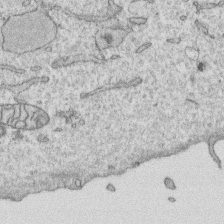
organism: Human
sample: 1205lu cells